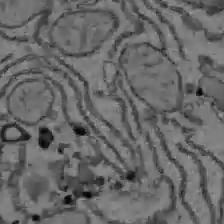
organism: C57BL Mouse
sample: Liver